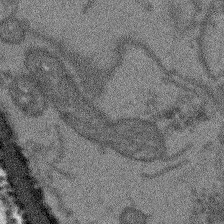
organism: Arabidopsis thaliana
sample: Root tip